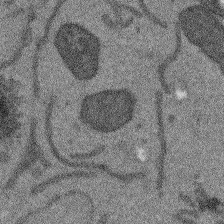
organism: Arabidopsis thaliana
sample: Root tip